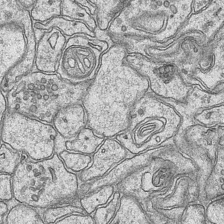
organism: Mouse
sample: CA1 Hippocampus